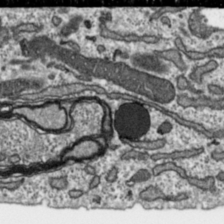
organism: Toxoplasma gondii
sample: Parasites in a vacuole inside a host cell